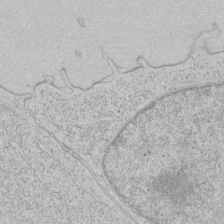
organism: Human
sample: Mitochondria in HCT116 cells